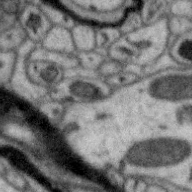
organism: Zebra finch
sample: Brain